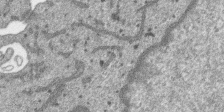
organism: Human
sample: Lung epithelial cells infected with SARS-CoV-2